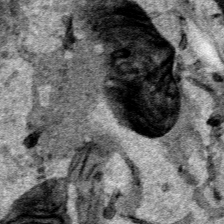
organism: Human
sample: Mitochondria in HCT116 cells